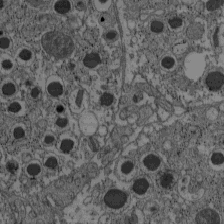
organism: C57BL Mouse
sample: Pancreatic islet